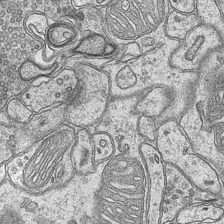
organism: Mouse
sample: CA1 Hippocampus